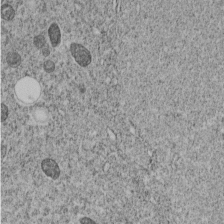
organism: C. elegans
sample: C. elegans embryo early stage